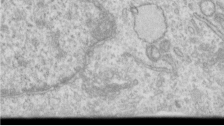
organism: Human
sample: Centriole in RPE cells